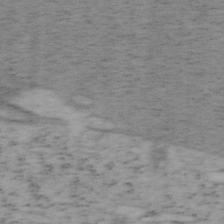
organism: Mouse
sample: OT-I killer T cells with ID8 ovarian cancer cells